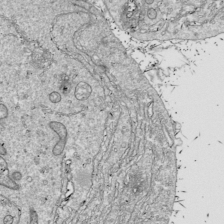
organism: Drosophila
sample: Cell division; meiosis; drosophila spermatocytes